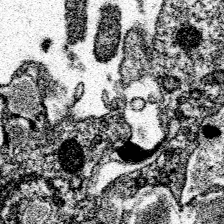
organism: Spongilla lacustris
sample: Neuroid cell